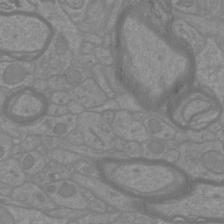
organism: Mouse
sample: Cortical neurons